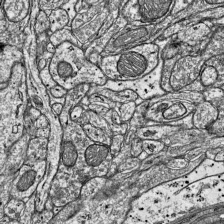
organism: Mouse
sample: Visual Cortex